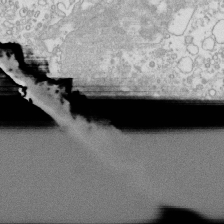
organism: Mouse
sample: Macrophages